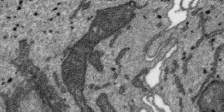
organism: Human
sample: Lung epithelial cells, uninfected (mock) control